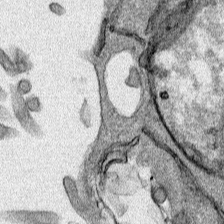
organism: Human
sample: Mitochondria in HCT116 cells